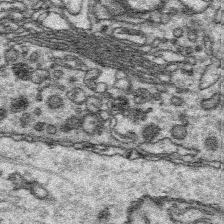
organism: Platynereis dumerilii